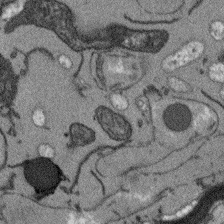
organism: Arabidopsis thaliana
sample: Root tip